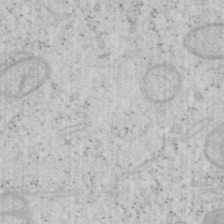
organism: Human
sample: HeLa cells